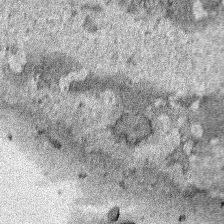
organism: Human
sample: Mitochondria in HCT116 cells